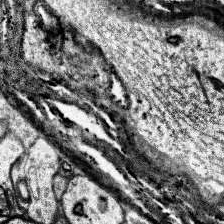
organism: Human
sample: Temporal Lobe